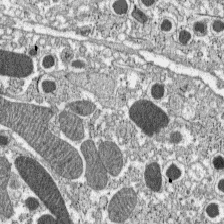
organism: C57BL Mouse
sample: Pancreatic islet